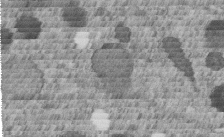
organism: C. elegans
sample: C. elegans embryo early stage